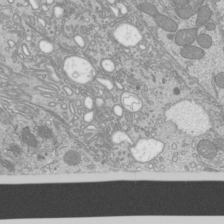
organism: Mouse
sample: Cilia; mouse epididymis